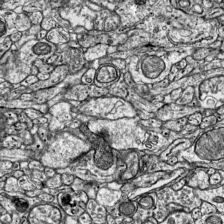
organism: Mouse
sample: Visual Cortex